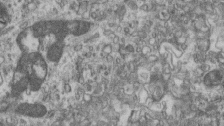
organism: Mouse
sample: Centriole in ependymal cells